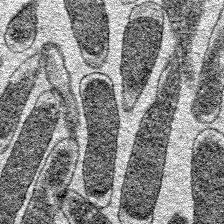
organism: E. coli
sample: E. Coli Bacteria